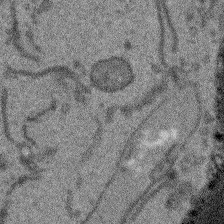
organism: Arabidopsis thaliana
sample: Root tip